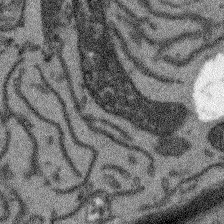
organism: Arabidopsis thaliana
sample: Root tip